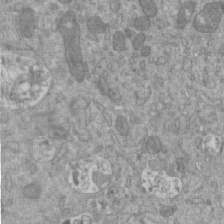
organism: Mouse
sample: ED-1 cell nuclei; centrioles